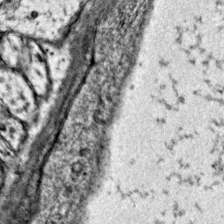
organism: Mouse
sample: Primary visual cortex